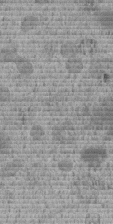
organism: C. elegans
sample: C. elegans embryo early stage